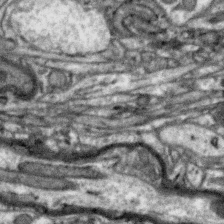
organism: Zebra finch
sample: Brain